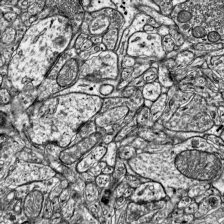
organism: Mouse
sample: Visual Cortex